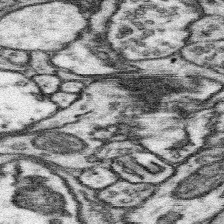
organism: Mouse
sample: Somatosensory cortex neuropil